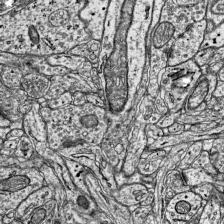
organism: Mouse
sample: Visual Cortex